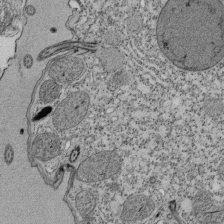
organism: Tetrahymena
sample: Cilia in tetrahymena